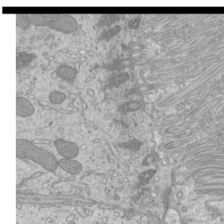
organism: Mouse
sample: Cilia; mouse epididymis